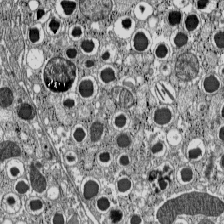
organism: C57BL Mouse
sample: Pancreatic islet